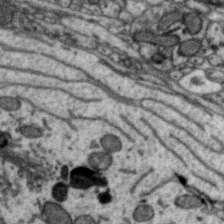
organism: Zebra finch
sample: Brain